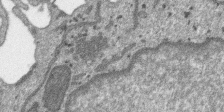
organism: Human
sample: Lung epithelial cells infected with SARS-CoV-2